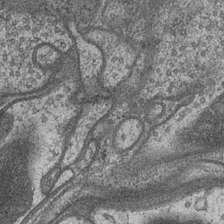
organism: Drosophila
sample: Optic medulla